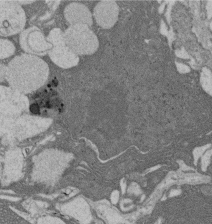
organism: Rat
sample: Salivary granule